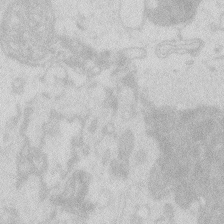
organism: Zebrafish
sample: Macrophage